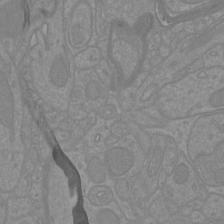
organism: Mouse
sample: Cortical neurons